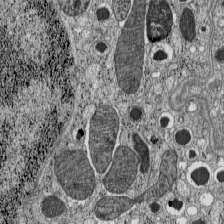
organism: C57BL Mouse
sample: Pancreatic islet